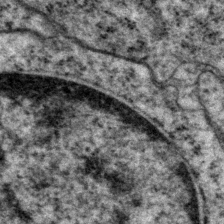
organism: P. pacificus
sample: Pharynx